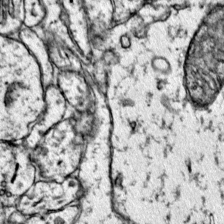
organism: Mouse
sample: Primary visual cortex